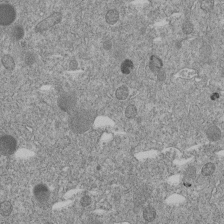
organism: C. elegans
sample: C. elegans embryo early stage